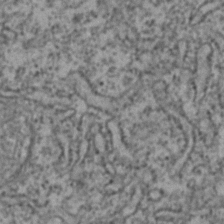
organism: Zebrafish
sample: Zebrafish embryo